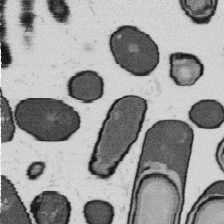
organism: B. subtilis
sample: Bacterial spore